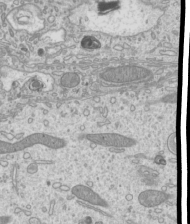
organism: Mouse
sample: Cilia; mouse epididymis